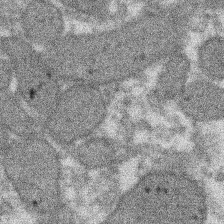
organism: Xenopus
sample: Cilia; centrioles in frog embryo cells